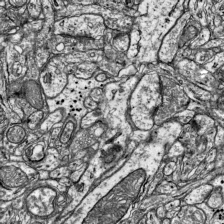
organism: Mouse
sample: Visual Cortex